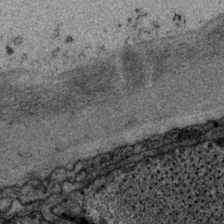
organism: P. pacificus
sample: Pharynx